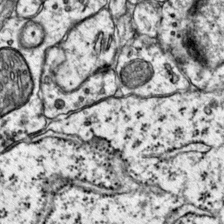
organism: Mouse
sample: Primary visual cortex